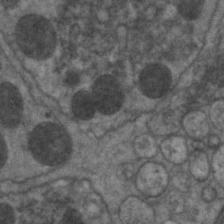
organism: C. elegans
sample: Pharynx